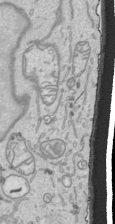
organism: Human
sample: Mitochondria in HCT116 cells